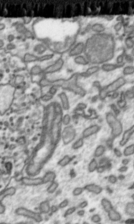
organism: Toxoplasma gondii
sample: Parasites in a vacuole inside a host cell